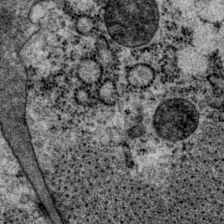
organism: P. pacificus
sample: Pharynx